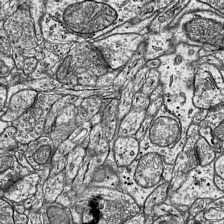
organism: Mouse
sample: Visual Cortex